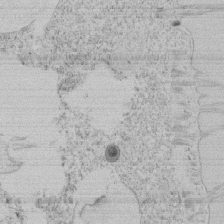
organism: Tetrahymena